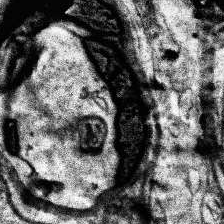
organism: Human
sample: Temporal Lobe